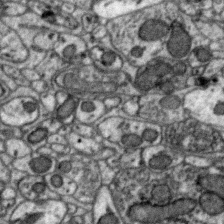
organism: Zebra finch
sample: Brain